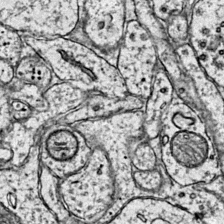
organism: Mouse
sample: Primary visual cortex